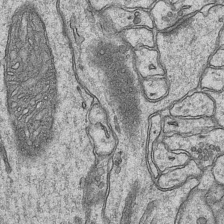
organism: Mouse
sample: CA1 Hippocampus